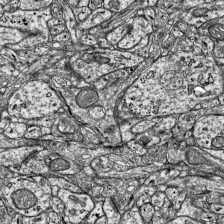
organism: Mouse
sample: Visual Cortex